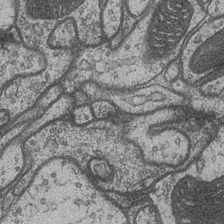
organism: Drosophila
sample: Optic medulla